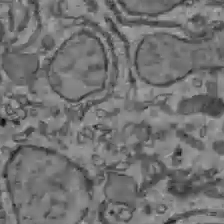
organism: C57BL Mouse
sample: Liver